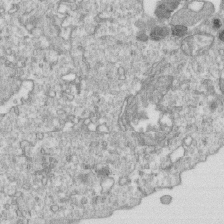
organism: Mouse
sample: Activated OT-1 CD8+ T cells